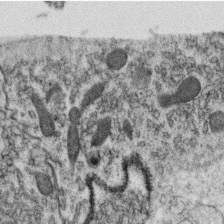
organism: C. elegans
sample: C. elegans oocyte; sperm cells